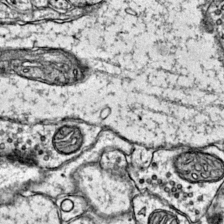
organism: Mouse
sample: Primary visual cortex